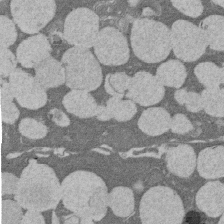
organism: Rat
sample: Salivary granule